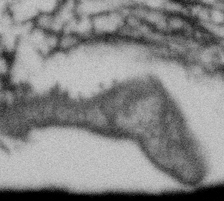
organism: Gemmata obscuriglobus